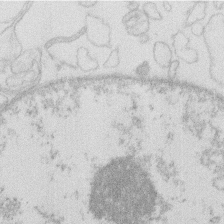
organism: Human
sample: Macrophage cells